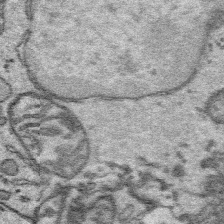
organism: Platynereis dumerilii